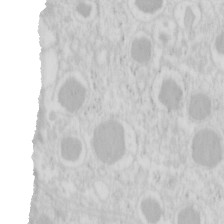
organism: Mouse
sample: Pancreas